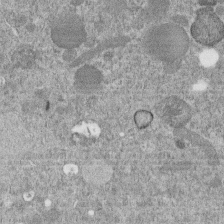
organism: C. elegans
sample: C. elegans embryo early stage